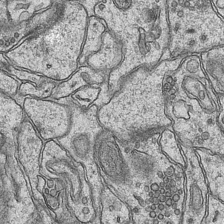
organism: Mouse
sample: CA1 Hippocampus